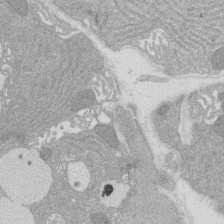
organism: Rat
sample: Salivary granule